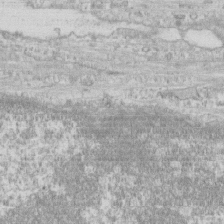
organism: Human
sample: CRL-1474